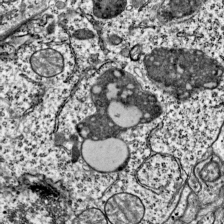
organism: Mouse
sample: Visual Cortex